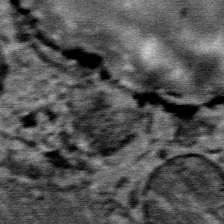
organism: Mouse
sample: Mouse Salivary gland